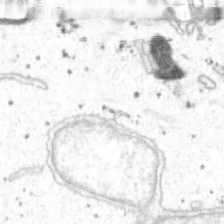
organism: Human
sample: HeLa cells